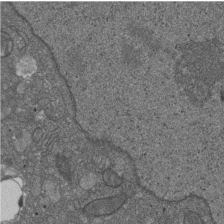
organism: Drosophila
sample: Nephrocyte